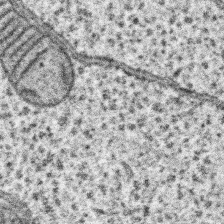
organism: Human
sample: HeLa cells